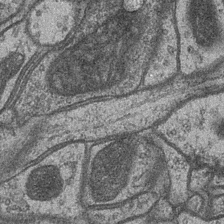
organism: Drosophila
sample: Optic medulla